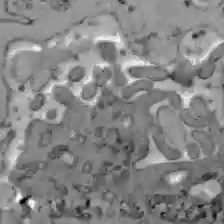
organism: C57BL Mouse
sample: Liver